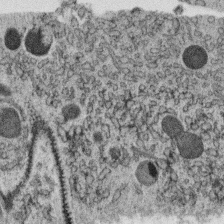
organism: C. elegans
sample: C. elegans oocyte; sperm cells